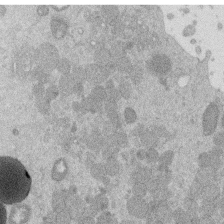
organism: Mouse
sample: Dividing mouse embryo 1 cell stage